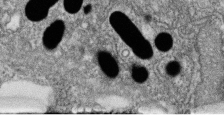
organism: Zebrafish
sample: Cilia; retinal pigment epithelium